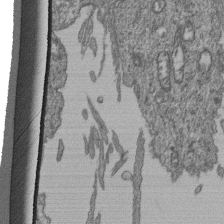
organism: Human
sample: Retinal organoid Rod and Cone cells